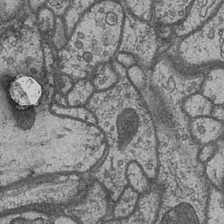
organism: Drosophila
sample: Optic medulla